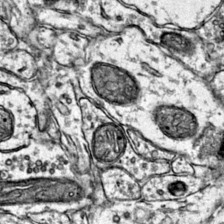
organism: Mouse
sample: Primary visual cortex